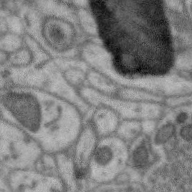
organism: Zebra finch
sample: Brain